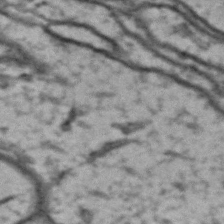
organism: Drosophila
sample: Brain